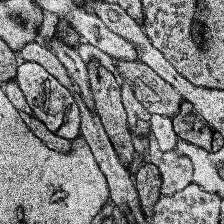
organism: Human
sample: Temporal Lobe